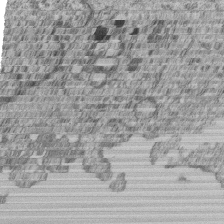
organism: Human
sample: MDA-MB-231 cells